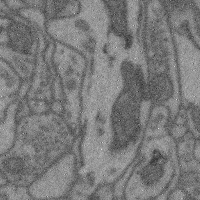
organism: Mouse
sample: Cerebral cortex